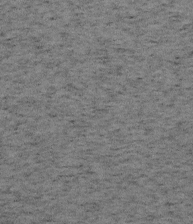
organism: Mouse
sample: OT-I killer T cells with ID8 ovarian cancer cells